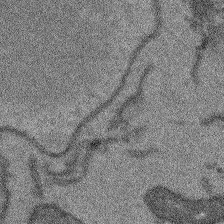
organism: Arabidopsis thaliana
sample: Root tip